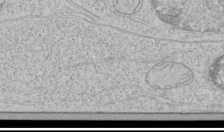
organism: Human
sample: Mitochondria in HCT116 cells